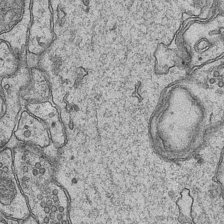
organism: Mouse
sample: CA1 Hippocampus